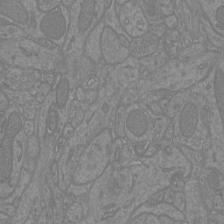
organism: Mouse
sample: Cortical neurons